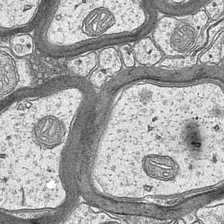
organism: Mouse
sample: CA1 Hippocampus